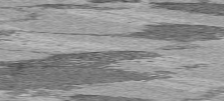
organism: C57BL Mouse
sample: Heart